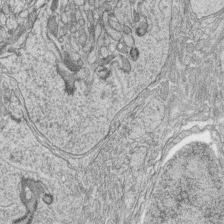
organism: Zebrafish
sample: synaptic ribbons in rod cells and cone cells